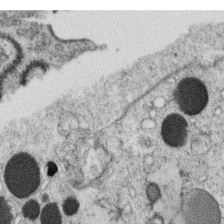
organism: C. elegans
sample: C. elegans oocyte; sperm cells